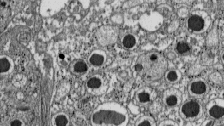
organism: C57BL Mouse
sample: Pancreatic islet